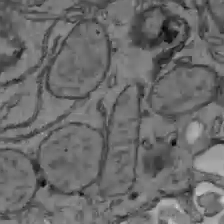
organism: C57BL Mouse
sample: Liver